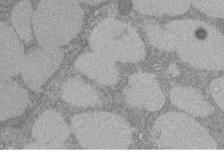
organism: Rat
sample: Salivary granule